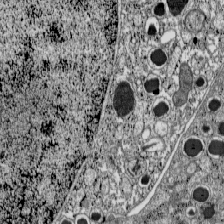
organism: C57BL Mouse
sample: Pancreatic islet